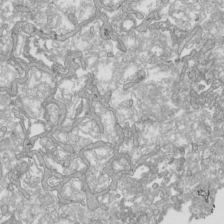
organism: Human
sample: Mitochondria in HCT116 cells